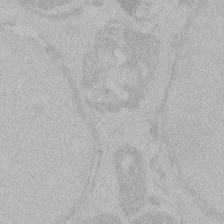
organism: Zebrafish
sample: Macrophage infected with Toxoplasma gondii